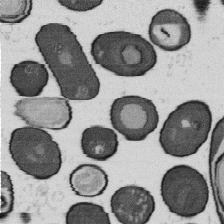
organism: B. subtilis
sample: Bacterial spore